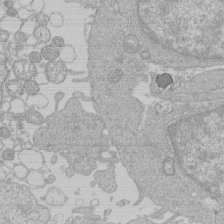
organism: Human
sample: Macrophage cells